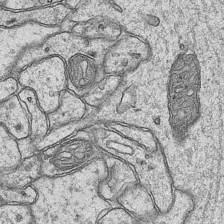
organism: Mouse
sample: CA1 Hippocampus